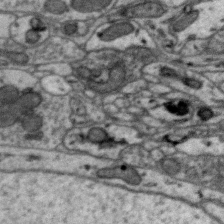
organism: Zebra finch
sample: Brain